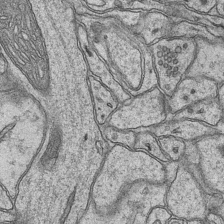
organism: Mouse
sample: CA1 Hippocampus